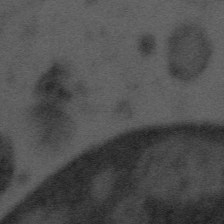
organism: Tuwongella immobilis